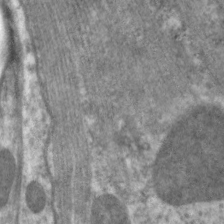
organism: C. elegans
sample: Pharynx